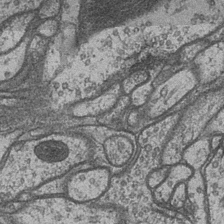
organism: Drosophila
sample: Optic medulla